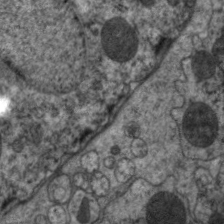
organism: C. elegans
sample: Pharynx